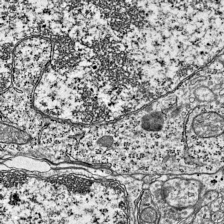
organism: Mouse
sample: Visual Cortex